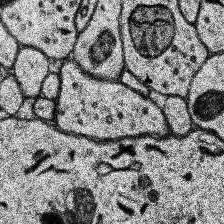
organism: Human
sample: Temporal Lobe